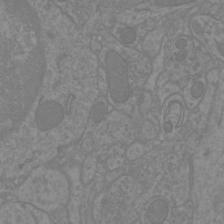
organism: Mouse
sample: Cortical neurons